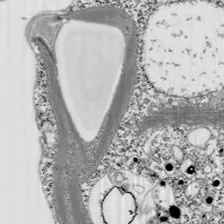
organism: Chlamydomonas reinhardtii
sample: Whole Cell